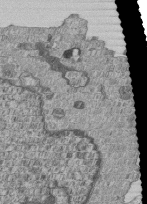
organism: Human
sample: MDA-MB-231 cells